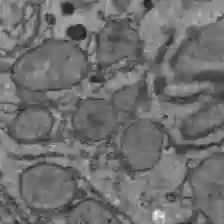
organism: C57BL Mouse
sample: Liver